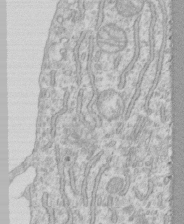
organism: Human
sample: CRL-1474